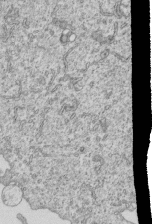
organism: Human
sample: MDA-MB-231 cells